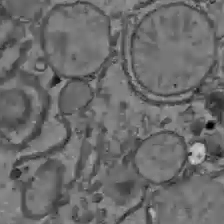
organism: C57BL Mouse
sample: Liver